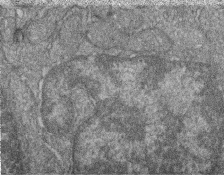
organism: Zebrafish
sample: Cilia; retinal pigment epithelium